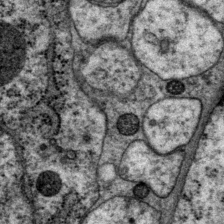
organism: P. pacificus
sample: Pharynx